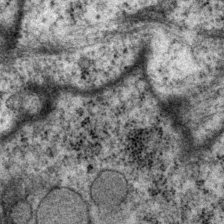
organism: P. pacificus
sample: Pharynx